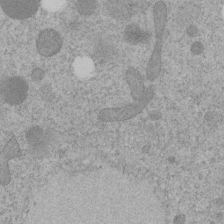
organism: C. elegans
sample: C. elegans embryo early stage